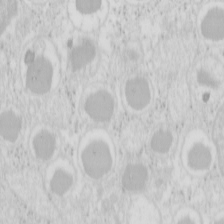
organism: Mouse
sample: Pancreas